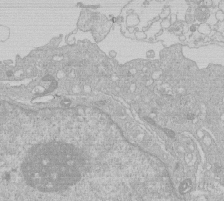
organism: Human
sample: Macrophage cells